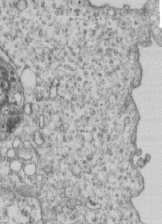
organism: Human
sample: MDA-MB-231 cells